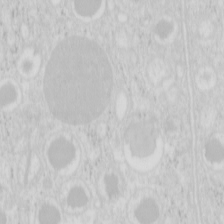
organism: Mouse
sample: Pancreas